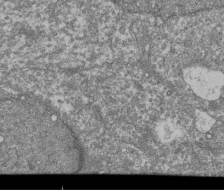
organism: Human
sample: Retinal organoid Rod and Cone cells